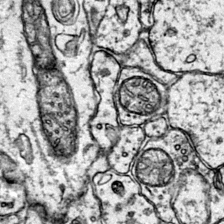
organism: Mouse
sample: Primary visual cortex